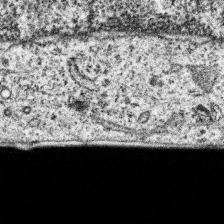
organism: Human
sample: HeLa cells